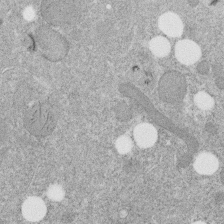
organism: C. elegans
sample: C. elegans embryo early stage